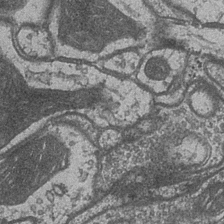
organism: Drosophila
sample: Optic medulla